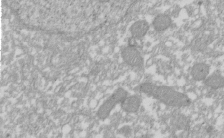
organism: Xenopus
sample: Cilia; centrioles in frog embryo cells